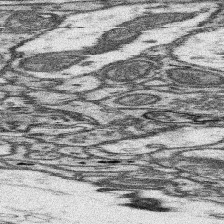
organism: Mouse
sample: Somatosensory cortex neuropil